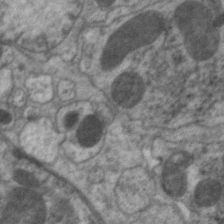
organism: C. elegans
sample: Pharynx